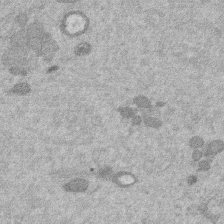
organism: Mouse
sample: Dividing mouse embryo 1 cell stage